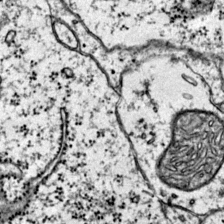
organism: Mouse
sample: Primary visual cortex